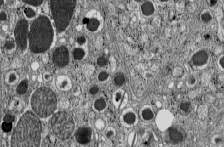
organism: C57BL Mouse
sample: Pancreatic islet